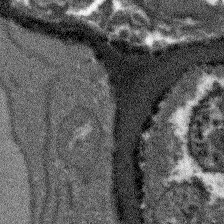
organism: Arabidopsis thaliana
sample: Root tip